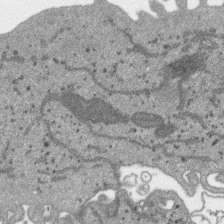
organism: Human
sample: Lung epithelial cells infected with SARS-CoV-2